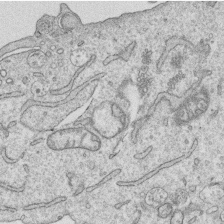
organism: Human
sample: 1205lu cells